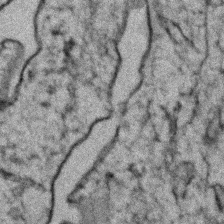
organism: Zebrafish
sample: Zebrafish embryo